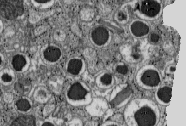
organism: C57BL Mouse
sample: Pancreatic islet